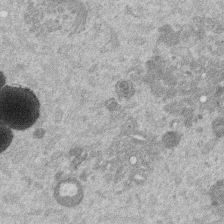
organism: Mouse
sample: Dividing mouse embryo 1 cell stage